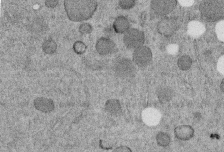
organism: C. elegans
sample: C. elegans embryo early stage